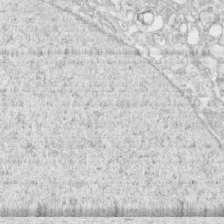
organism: Human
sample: CRL-1474